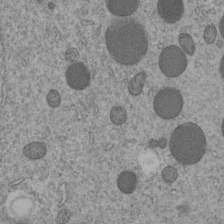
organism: C. elegans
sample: C. elegans embryo early stage